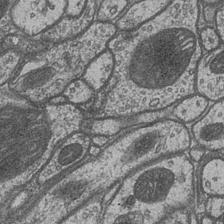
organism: Drosophila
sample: Optic medulla